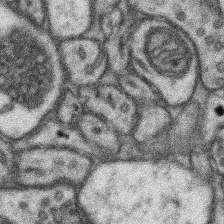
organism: Mouse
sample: Somatosensory cortex neuropil